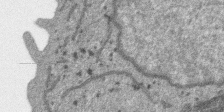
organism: Human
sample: Lung epithelial cells infected with SARS-CoV-2